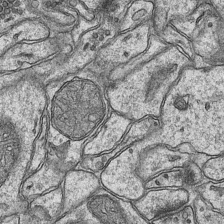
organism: Mouse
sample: CA1 Hippocampus